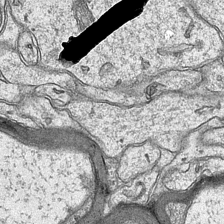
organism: Mouse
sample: CA1 Hippocampus